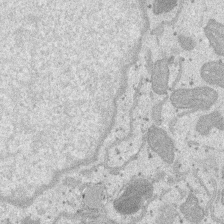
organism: Human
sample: Lung epithelial cells infected with SARS-CoV-2